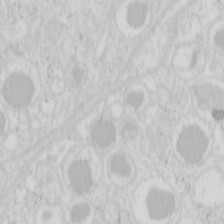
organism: Mouse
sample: Pancreas